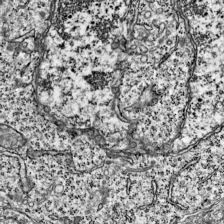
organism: Mouse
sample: Visual Cortex